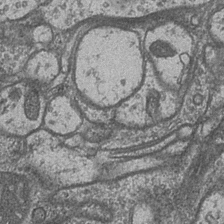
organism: Drosophila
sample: Optic medulla